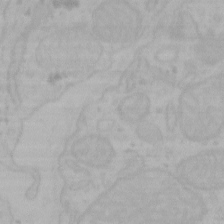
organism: Mouse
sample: Choroid plexus